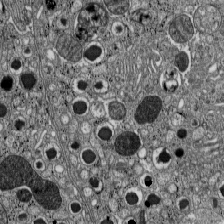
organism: C57BL Mouse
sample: Pancreatic islet